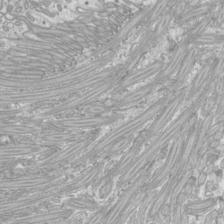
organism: Mouse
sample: Cilia; mouse epididymis